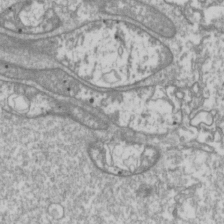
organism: Drosophila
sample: Cell division; meiosis; drosophila spermatocytes